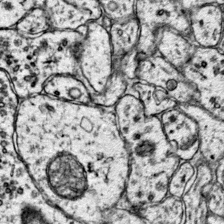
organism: Mouse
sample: Primary visual cortex